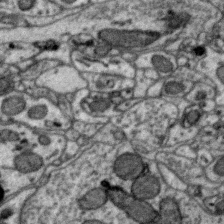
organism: Zebra finch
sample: Brain